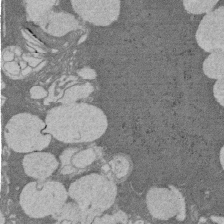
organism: Rat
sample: Salivary granule